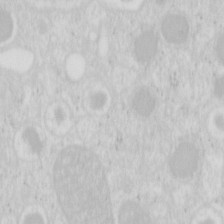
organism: Mouse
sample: Pancreas